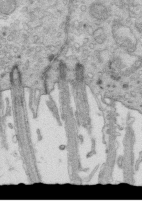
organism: Mouse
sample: Multiciliated cells